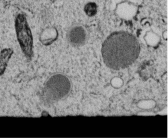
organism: C. elegans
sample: C. elegans embryo early stage